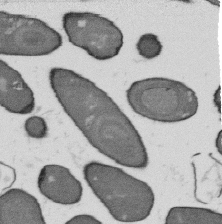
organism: B. subtilis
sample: Bacterial spore